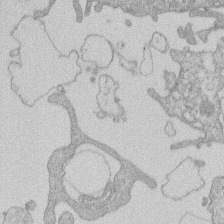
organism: Human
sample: Macrophage cells